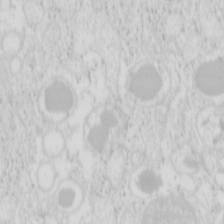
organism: Mouse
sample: Pancreas